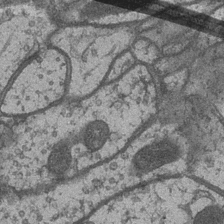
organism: Drosophila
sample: Optic medulla